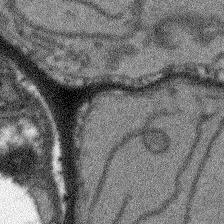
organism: Arabidopsis thaliana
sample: Root tip